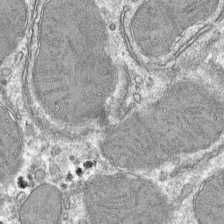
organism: Mouse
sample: Mouse hepatocytes